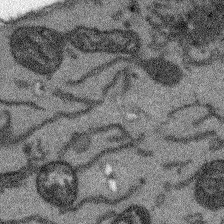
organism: Arabidopsis thaliana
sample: Root tip